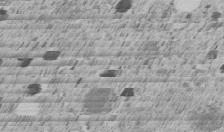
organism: C. elegans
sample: C. elegans embryo early stage